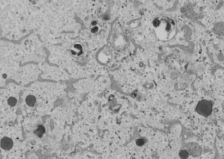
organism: Human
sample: Mitochondria in U2OS cells